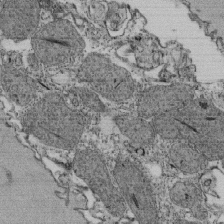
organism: Tetrahymena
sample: Cilia in tetrahymena